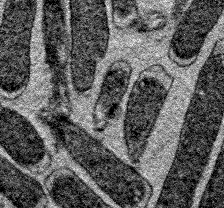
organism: E. coli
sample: E. Coli Bacteria